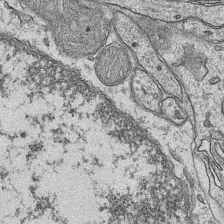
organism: Mouse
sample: CA1 Hippocampus